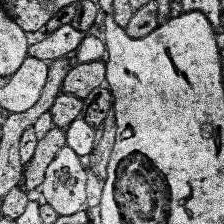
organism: Human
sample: Temporal Lobe